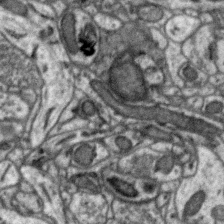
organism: Zebra finch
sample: Brain